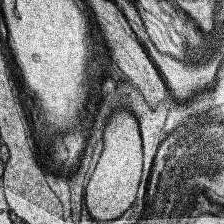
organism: Human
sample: Temporal Lobe